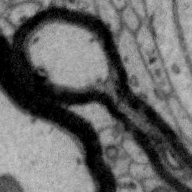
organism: Zebra finch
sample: Brain